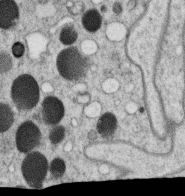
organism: C. elegans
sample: C. elegans oocyte; sperm cells